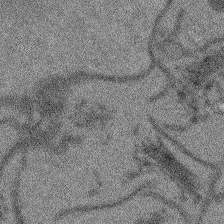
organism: Arabidopsis thaliana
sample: Root tip